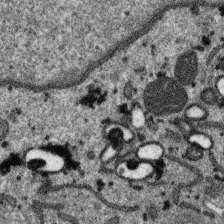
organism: Human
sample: Lung epithelial cells infected with SARS-CoV-2